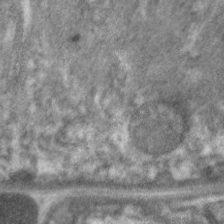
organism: C. elegans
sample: Pharynx